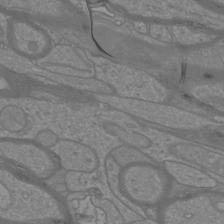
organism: Mouse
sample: Cortical neurons